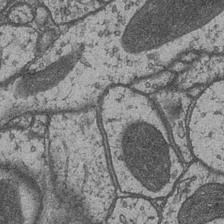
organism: Drosophila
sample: Optic medulla